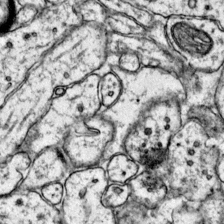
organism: Mouse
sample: Primary visual cortex